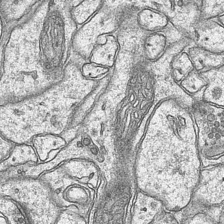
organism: Mouse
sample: CA1 Hippocampus